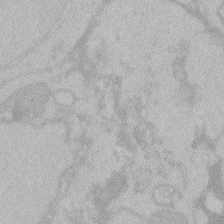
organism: Zebrafish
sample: Macrophage infected with Toxoplasma gondii